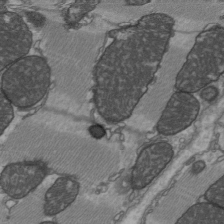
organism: C57BL Mouse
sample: Heart